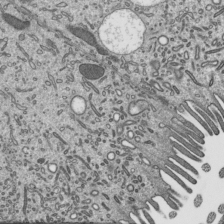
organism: Mouse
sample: Mouse epididymis efferent ductule cilia